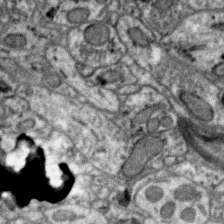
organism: Zebra finch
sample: Brain